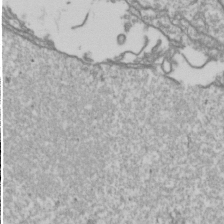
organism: Drosophila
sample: Cell division; meiosis; drosophila spermatocytes